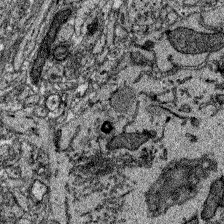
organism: Zebrafish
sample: Larval olfactory bulb